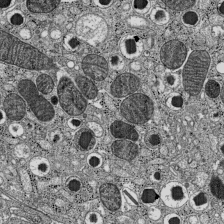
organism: C57BL Mouse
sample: Pancreatic islet